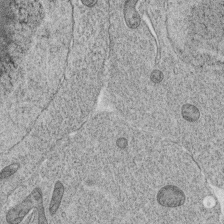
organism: C. elegans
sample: C. elegans oocyte; sperm cells